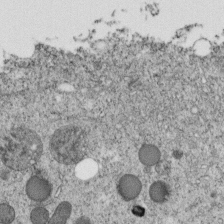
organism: C. elegans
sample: C. elegans embryo early stage